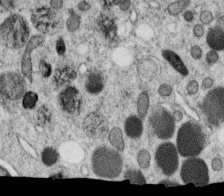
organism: C. elegans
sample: C. elegans oocyte; sperm cells